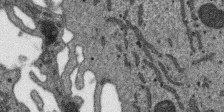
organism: Human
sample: Lung epithelial cells infected with SARS-CoV-2